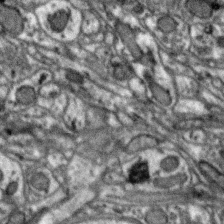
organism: Zebra finch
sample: Brain